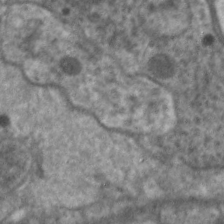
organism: C. elegans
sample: Pharynx